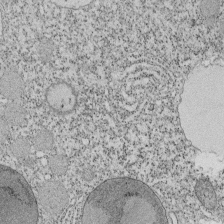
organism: Tetrahymena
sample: Cilia in tetrahymena